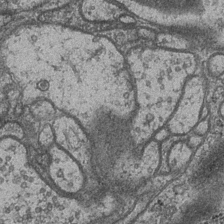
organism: Drosophila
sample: Optic medulla